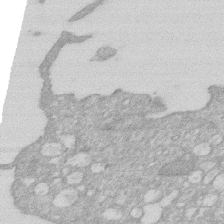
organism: Human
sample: HIV infected U937 cells